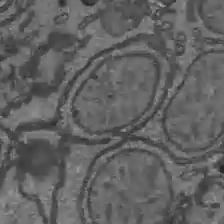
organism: C57BL Mouse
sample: Liver